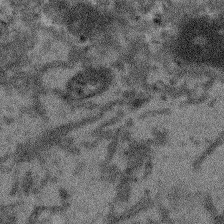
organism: Arabidopsis thaliana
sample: Root tip